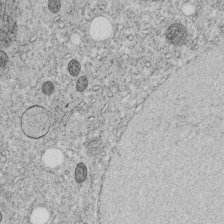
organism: C. elegans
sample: C. elegans embryo early stage